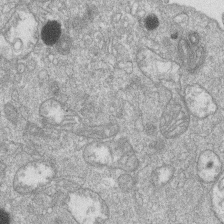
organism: Human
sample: HeLa cell HIV synapse